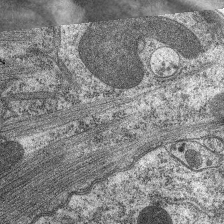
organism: C. elegans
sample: Pharynx